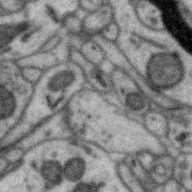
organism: Zebra finch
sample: Brain